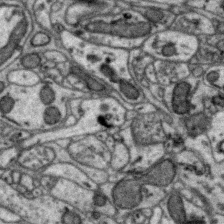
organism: Zebra finch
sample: Brain